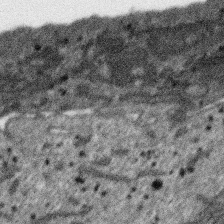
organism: Human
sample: Lung epithelial cells infected with SARS-CoV-2